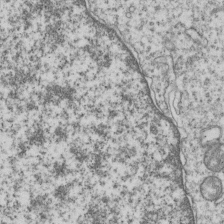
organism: Human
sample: MDA-MB-231 cells